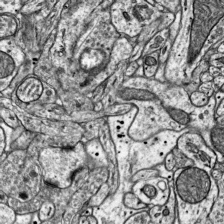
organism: Mouse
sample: Visual Cortex